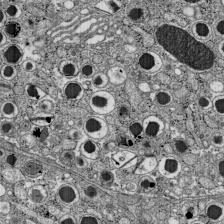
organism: C57BL Mouse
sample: Pancreatic islet